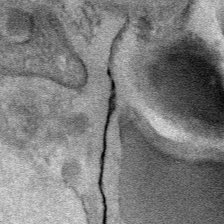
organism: Mouse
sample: Mouse Salivary gland